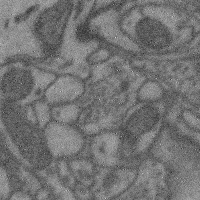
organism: Mouse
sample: Cerebral cortex